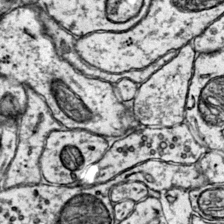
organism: Mouse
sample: Primary visual cortex